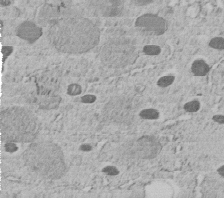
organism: C. elegans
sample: C. elegans embryo early stage